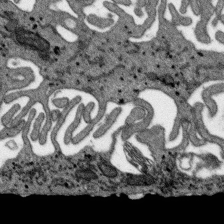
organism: Human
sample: Lung epithelial cells, uninfected (mock) control